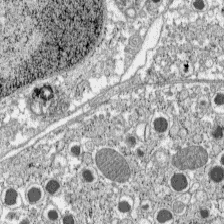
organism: C57BL Mouse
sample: Pancreatic islet